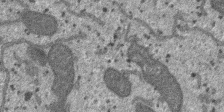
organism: Human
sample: Lung epithelial cells infected with SARS-CoV-2